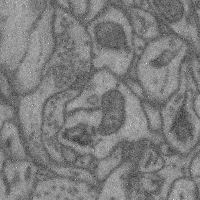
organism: Mouse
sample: Cerebral cortex